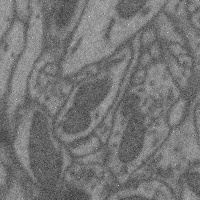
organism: Mouse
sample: Cerebral cortex